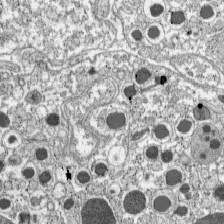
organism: C57BL Mouse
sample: Pancreatic islet